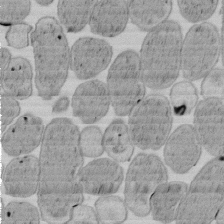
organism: E. coli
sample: Bacterial nucleoid